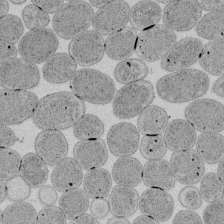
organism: E. coli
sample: Bacterial nucleoid